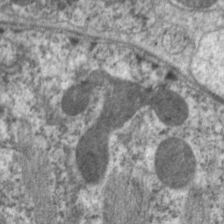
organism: C. elegans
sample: Pharynx